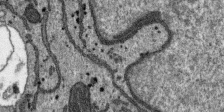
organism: Human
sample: Lung epithelial cells, uninfected (mock) control